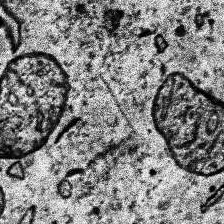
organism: Human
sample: Temporal Lobe